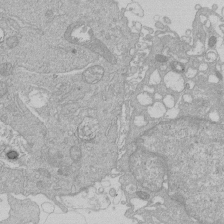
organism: Human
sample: Macrophage cells